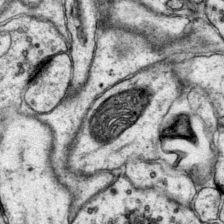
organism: Mouse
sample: Primary visual cortex